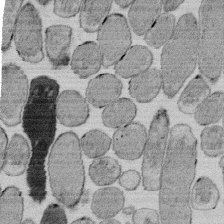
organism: E. coli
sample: Bacterial nucleoid